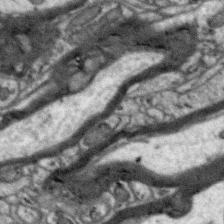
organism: Zebra finch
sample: Brain